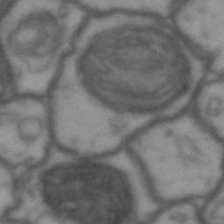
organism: Drosophila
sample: Brain